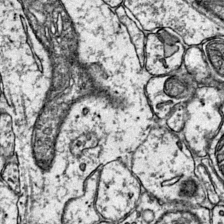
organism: Mouse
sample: Primary visual cortex